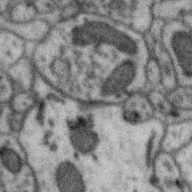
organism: Zebra finch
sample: Brain